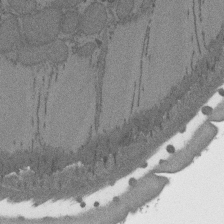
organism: C. elegans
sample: AFD neurons C. elegans